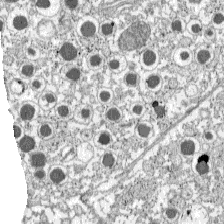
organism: C57BL Mouse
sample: Pancreatic islet